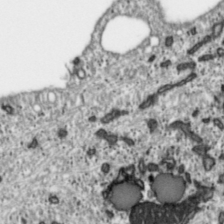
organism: Toxoplasma gondii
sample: Parasites in a vacuole inside a host cell